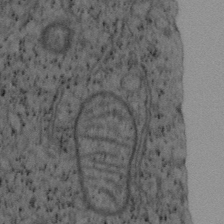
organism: Human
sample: HeLa cells